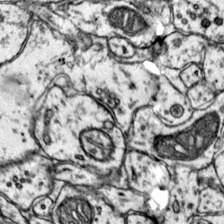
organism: Mouse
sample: Primary visual cortex